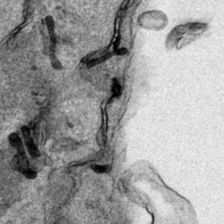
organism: Human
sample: Mitochondria in HCT116 cells